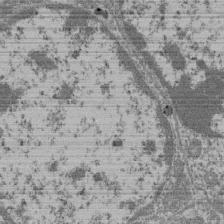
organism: Mouse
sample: Glomerulus